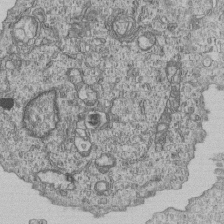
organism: Human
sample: MDA-MB-231 cells